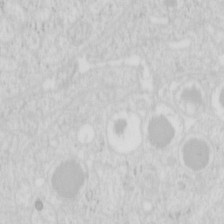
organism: Mouse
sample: Pancreas